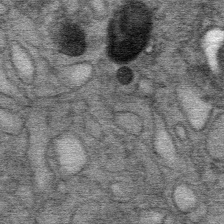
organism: Mouse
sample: Mouse Salivary gland